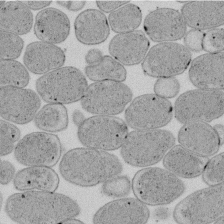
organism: E. coli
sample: Bacterial nucleoid